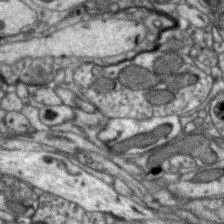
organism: Zebra finch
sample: Brain